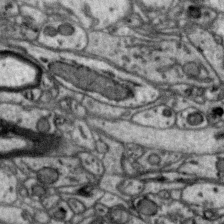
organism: Zebra finch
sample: Brain